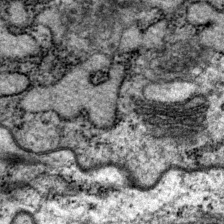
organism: P. pacificus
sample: Pharynx